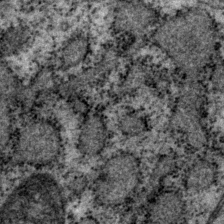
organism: P. pacificus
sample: Pharynx